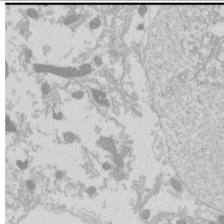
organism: Drosophila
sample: Cell division; meiosis; drosophila spermatocytes